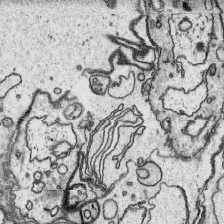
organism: Platynereis dumerilii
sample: Parapodia